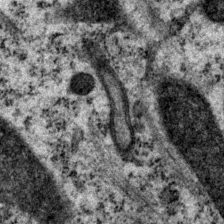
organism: P. pacificus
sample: Pharynx